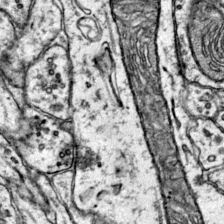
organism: Mouse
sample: Primary visual cortex